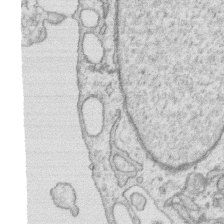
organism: Human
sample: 1205lu cells